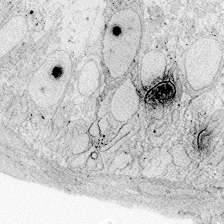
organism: Zebrafish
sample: Whole-Brain